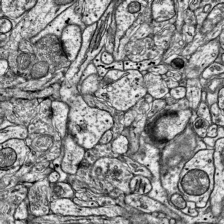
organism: Mouse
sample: Visual Cortex